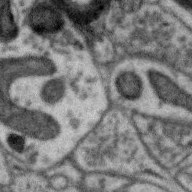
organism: Zebra finch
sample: Brain